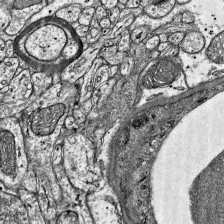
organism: Mouse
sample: Visual Cortex